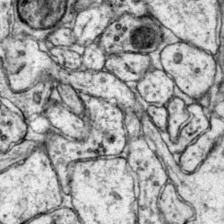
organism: Mouse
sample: Primary visual cortex